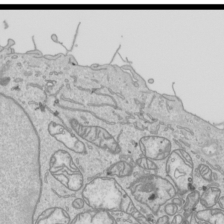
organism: Human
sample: Mitochondria in HCT116 cells